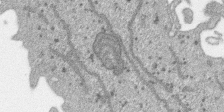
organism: Human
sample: Lung epithelial cells infected with SARS-CoV-2